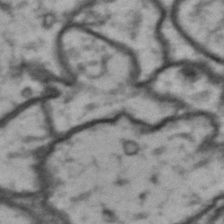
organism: Drosophila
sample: Brain